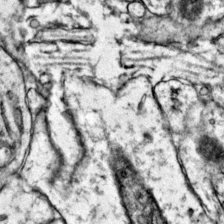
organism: Mouse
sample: Primary visual cortex